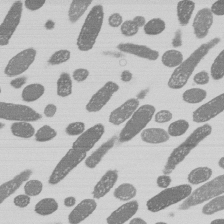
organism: E. coli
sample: Bacterial nucleoid